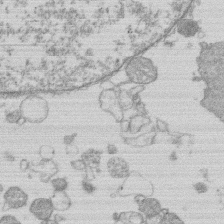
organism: Human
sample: Macrophage cells